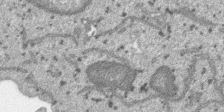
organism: Human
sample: Lung epithelial cells infected with SARS-CoV-2